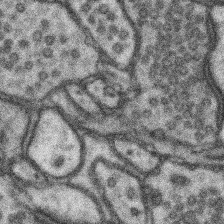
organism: Mouse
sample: Somatosensory cortex neuropil